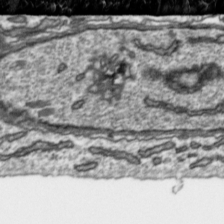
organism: Toxoplasma gondii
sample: Parasites in a vacuole inside a host cell